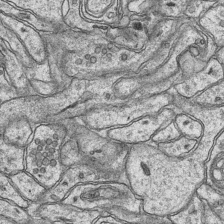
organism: Mouse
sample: CA1 Hippocampus